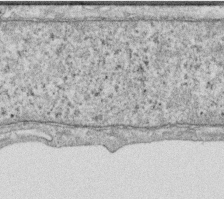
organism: Human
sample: Centriole in RPE cells